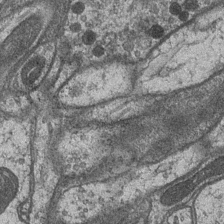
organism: Drosophila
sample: Optic medulla